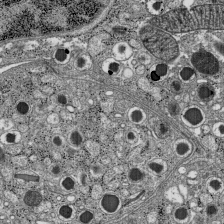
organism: C57BL Mouse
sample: Pancreatic islet